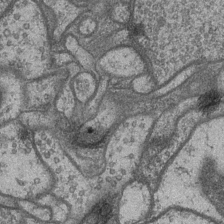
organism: Drosophila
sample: Optic medulla